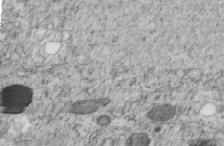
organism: C. elegans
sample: C. elegans embryo early stage